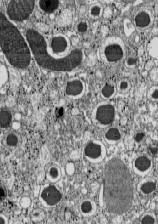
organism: C57BL Mouse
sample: Pancreatic islet